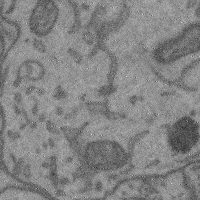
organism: Mouse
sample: Cerebral cortex